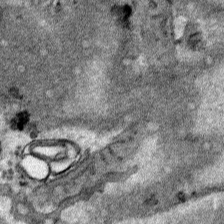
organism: Human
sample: Mitochondria in HCT116 cells